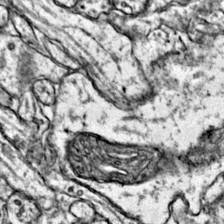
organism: Mouse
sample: Primary visual cortex